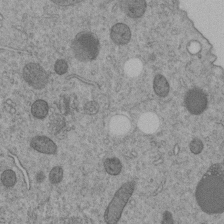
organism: C. elegans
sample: C. elegans embryo early stage